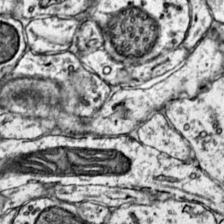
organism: Mouse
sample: Primary visual cortex